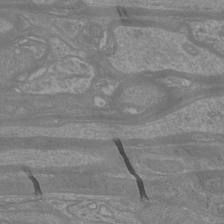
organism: Mouse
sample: Cortical neurons